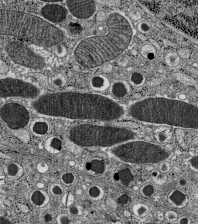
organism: C57BL Mouse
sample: Pancreatic islet